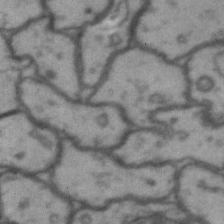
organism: Drosophila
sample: Brain